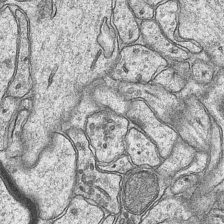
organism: Mouse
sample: CA1 Hippocampus